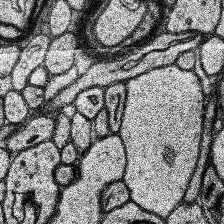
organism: Human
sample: Temporal Lobe